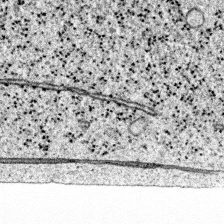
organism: Human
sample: HeLa cells